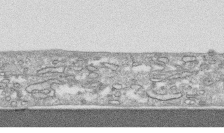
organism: Human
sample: CRL-1474